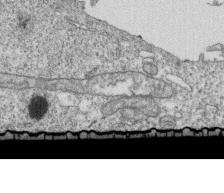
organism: Human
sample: HeLa cell HIV synapse